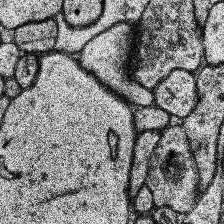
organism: Human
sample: Temporal Lobe